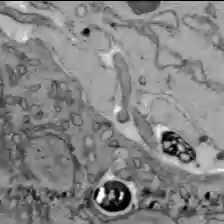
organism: C57BL Mouse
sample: Liver